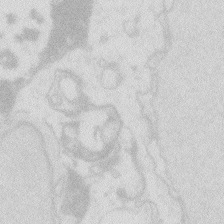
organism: Zebrafish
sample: Macrophage